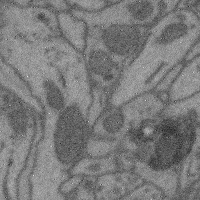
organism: Mouse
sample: Cerebral cortex